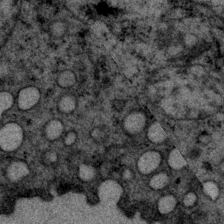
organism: P. pacificus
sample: Pharynx